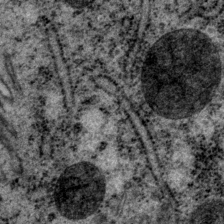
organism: P. pacificus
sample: Pharynx